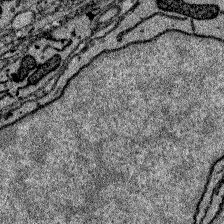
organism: Zebrafish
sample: Larval olfactory bulb